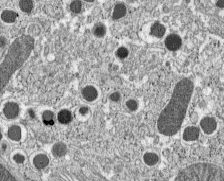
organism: C57BL Mouse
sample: Pancreatic islet